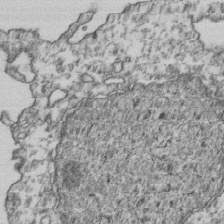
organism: Human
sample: Activated Jurkat CD4+ T cells